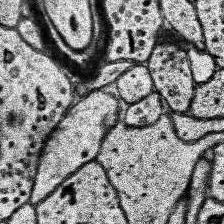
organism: Human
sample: Temporal Lobe